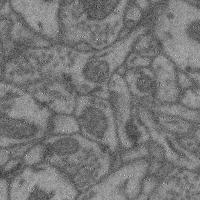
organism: Mouse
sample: Cerebral cortex